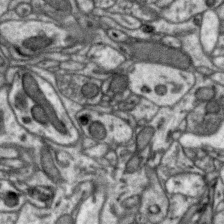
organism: Zebra finch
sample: Brain